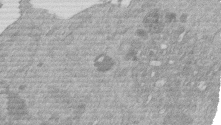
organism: Mouse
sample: Dividing mouse embryo 1 cell stage